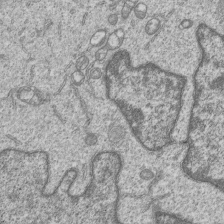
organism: Human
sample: MDA-MB-231 cells